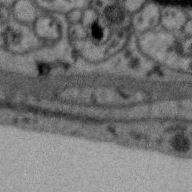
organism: Zebra finch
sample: Brain